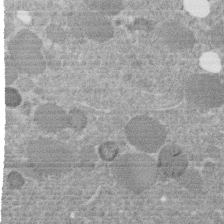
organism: C. elegans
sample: C. elegans embryo early stage